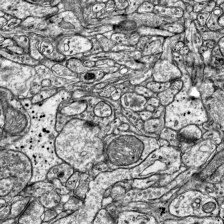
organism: Mouse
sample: Visual Cortex